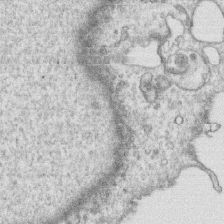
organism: Human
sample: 1205lu cells